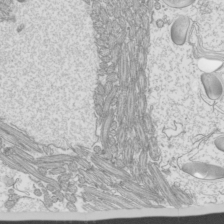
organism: Mouse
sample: Cilia; mouse epididymis